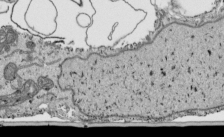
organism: Human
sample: Mitochondria in HCT116 cells